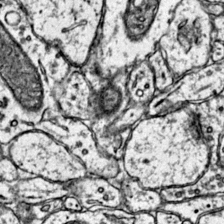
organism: Mouse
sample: Primary visual cortex